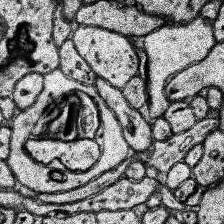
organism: Human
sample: Temporal Lobe